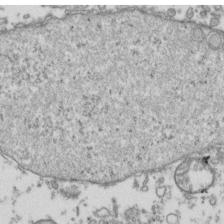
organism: Human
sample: Activated Jurkat CD4+ T cells